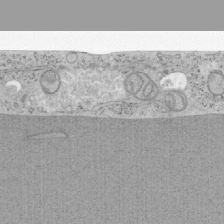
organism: Human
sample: HeLa cells